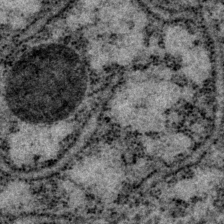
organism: P. pacificus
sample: Pharynx